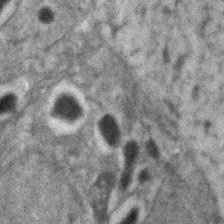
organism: Zebrafish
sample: Zebrafish embryo